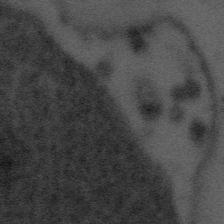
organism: Tuwongella immobilis